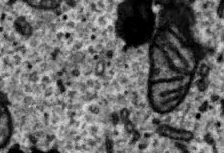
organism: Human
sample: HeLa cells